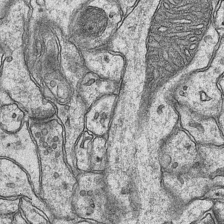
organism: Mouse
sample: CA1 Hippocampus